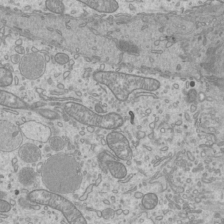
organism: Mouse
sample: Cilia; mouse epididymis